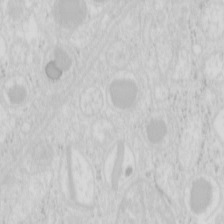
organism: Mouse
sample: Pancreas